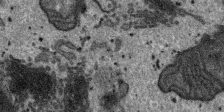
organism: Human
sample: Lung epithelial cells, uninfected (mock) control